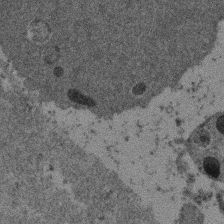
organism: Mouse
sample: Dividing mouse embryo 1 cell stage